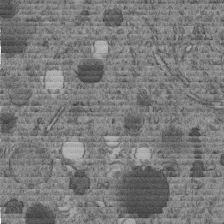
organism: C. elegans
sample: C. elegans embryo early stage